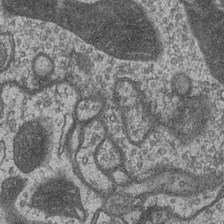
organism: Drosophila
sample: Optic medulla